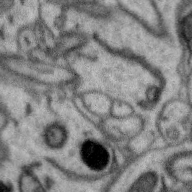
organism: Zebra finch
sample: Brain